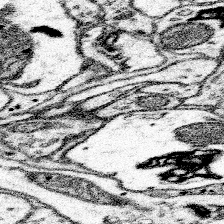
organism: Mouse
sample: Somatosensory cortex neuropil